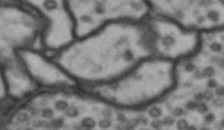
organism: Drosophila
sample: Brain